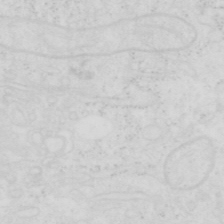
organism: Human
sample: SUM-159 cell